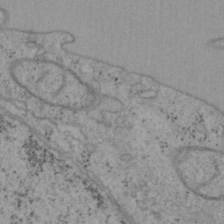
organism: Human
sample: HeLa cells